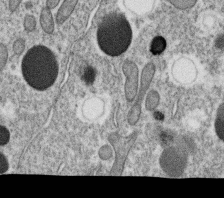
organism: C. elegans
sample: C. elegans oocyte; sperm cells